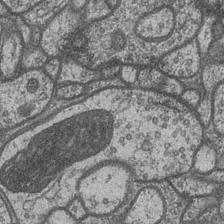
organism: Drosophila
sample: Optic medulla